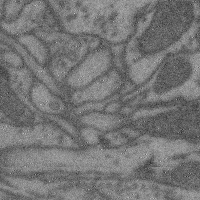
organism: Mouse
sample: Cerebral cortex